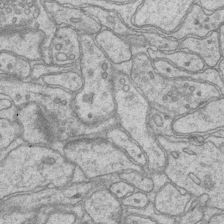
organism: Mouse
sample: CA1 Hippocampus